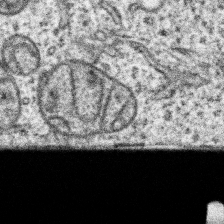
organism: Human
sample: HeLa cells